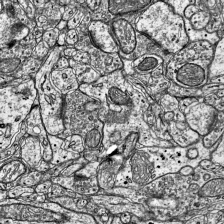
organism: Mouse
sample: Visual Cortex